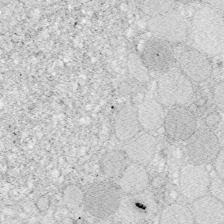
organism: Zebrafish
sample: Whole-Brain